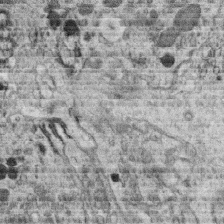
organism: C. elegans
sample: C. elegans oocyte; sperm cells